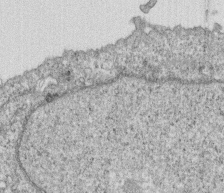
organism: Human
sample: HeLa cell HIV synapse